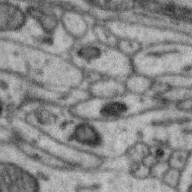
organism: Zebra finch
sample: Brain